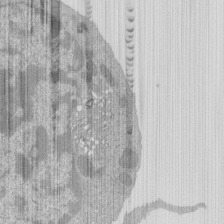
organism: Mouse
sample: Activated Pmel transgenic CD8+ T Cells